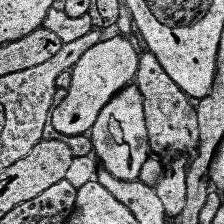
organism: Human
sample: Temporal Lobe